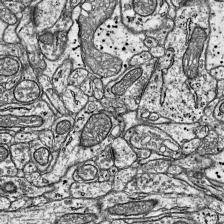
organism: Mouse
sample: Visual Cortex